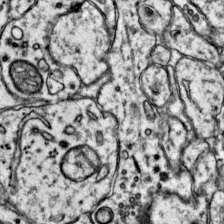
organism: Mouse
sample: Primary visual cortex